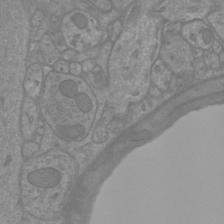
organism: Mouse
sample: Cortical neurons